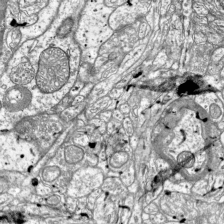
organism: Mouse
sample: Visual Cortex